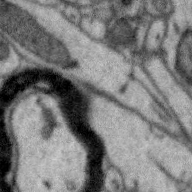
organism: Zebra finch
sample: Brain